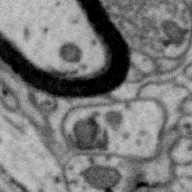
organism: Zebra finch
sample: Brain